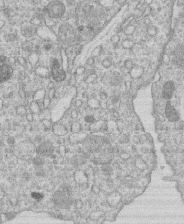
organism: Human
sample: Macrophage cells